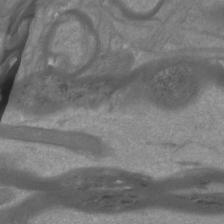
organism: Mouse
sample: Cortical neurons